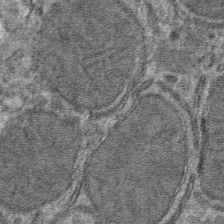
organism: Mouse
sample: Mouse hepatocytes